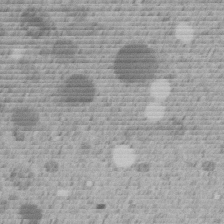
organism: C. elegans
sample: C. elegans embryo early stage